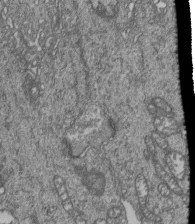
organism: Human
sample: Retinal organoid Rod and Cone cells